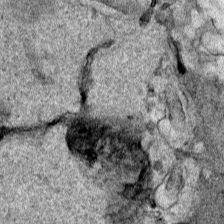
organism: Human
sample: Mitochondria in HCT116 cells